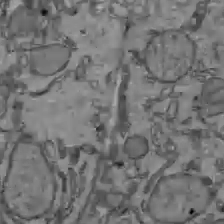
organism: C57BL Mouse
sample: Liver